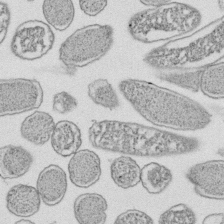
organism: E. coli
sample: Bacterial nucleoid